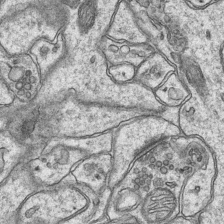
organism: Mouse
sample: CA1 Hippocampus